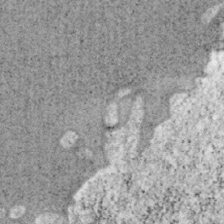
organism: Mouse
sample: OT-I killer T cells with ID8 ovarian cancer cells